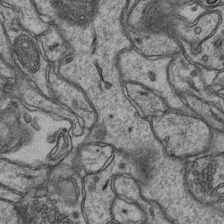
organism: Mouse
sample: CA1 Hippocampus